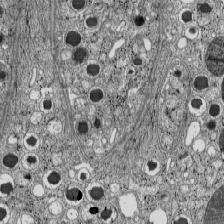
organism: C57BL Mouse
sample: Pancreatic islet